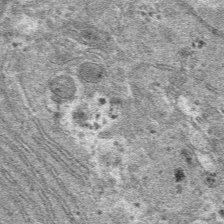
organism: Mouse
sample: Mouse hepatocytes